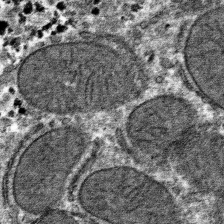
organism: Mouse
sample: Mouse hepatocytes